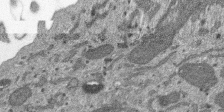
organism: Human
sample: Lung epithelial cells infected with SARS-CoV-2